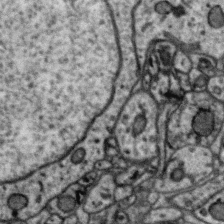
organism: Zebra finch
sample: Brain